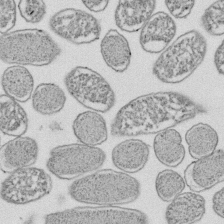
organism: E. coli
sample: Bacterial nucleoid